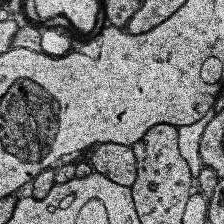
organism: Human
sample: Temporal Lobe